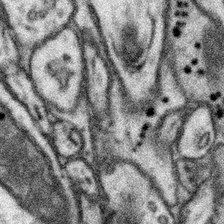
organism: Mouse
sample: Somatosensory cortex neuropil